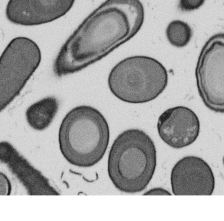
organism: B. subtilis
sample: Bacterial spore